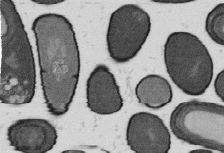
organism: B. subtilis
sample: Bacterial spore